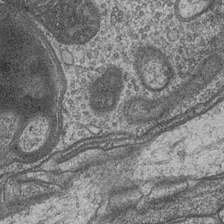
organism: Drosophila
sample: Optic medulla